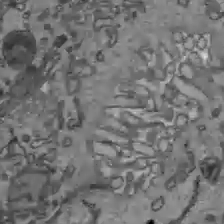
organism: C57BL Mouse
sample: Liver